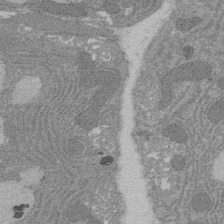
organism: Rat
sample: Salivary granule